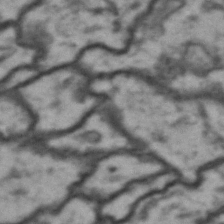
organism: Drosophila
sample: Brain